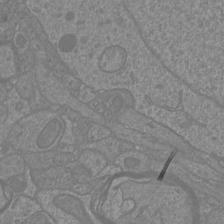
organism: Mouse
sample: Cortical neurons